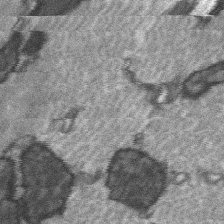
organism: C57BL Mouse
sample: Soleus